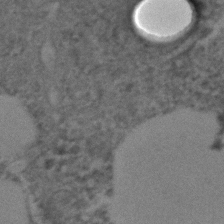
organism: C. elegans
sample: C. elegans embryo